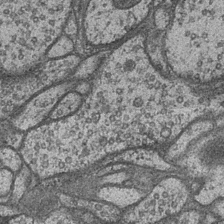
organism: Drosophila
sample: Optic medulla